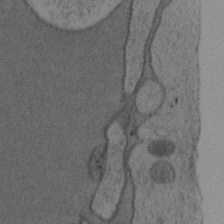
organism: Human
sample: HeLa cells